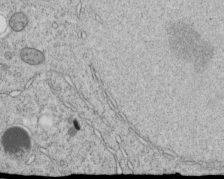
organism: C. elegans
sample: C. elegans embryo early stage